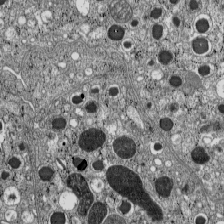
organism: C57BL Mouse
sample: Pancreatic islet